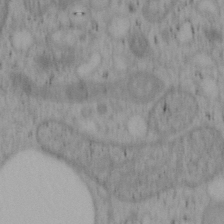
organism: Mouse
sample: OT-I killer T cells with ID8 ovarian cancer cells